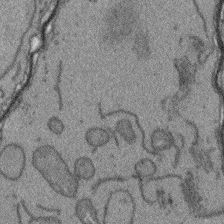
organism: Arabidopsis thaliana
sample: Root tip